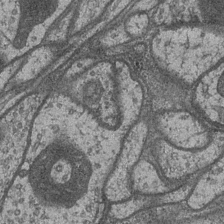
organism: Drosophila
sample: Optic medulla